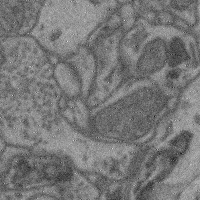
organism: Mouse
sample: Cerebral cortex